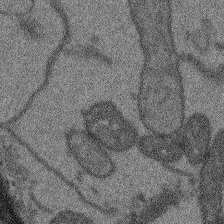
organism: Arabidopsis thaliana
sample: Root tip